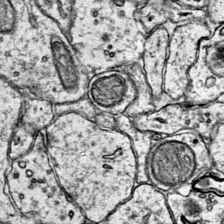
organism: Mouse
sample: Primary visual cortex